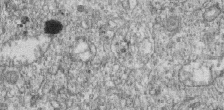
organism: Human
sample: HeLa cell HIV synapse